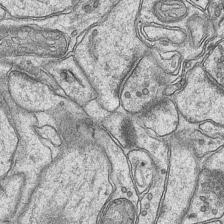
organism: Mouse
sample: CA1 Hippocampus